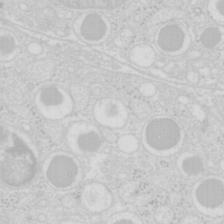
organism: Mouse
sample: Pancreas